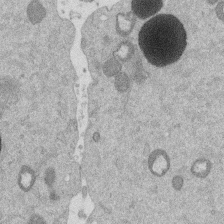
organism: Mouse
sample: Dividing mouse embryo 1 cell stage